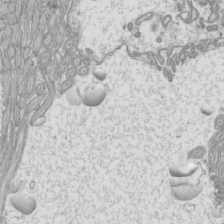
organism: Mouse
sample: Cilia; mouse epididymis